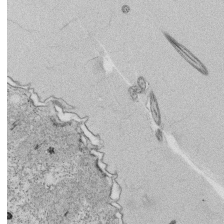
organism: Tetrahymena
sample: Cilia in tetrahymena